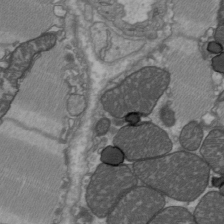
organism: C57BL Mouse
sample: Heart